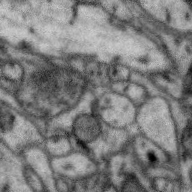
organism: Zebra finch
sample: Brain